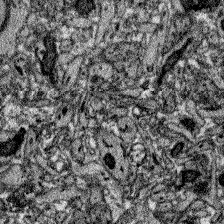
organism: Zebrafish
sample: Larval olfactory bulb